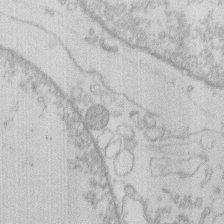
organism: Human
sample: Macrophage cells